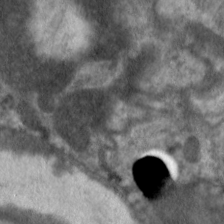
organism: C. elegans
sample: Pharynx